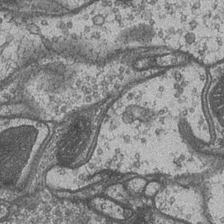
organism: Drosophila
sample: Optic medulla